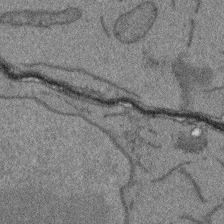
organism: Arabidopsis thaliana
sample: Root tip